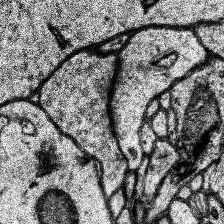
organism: Human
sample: Temporal Lobe